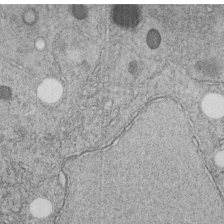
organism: C. elegans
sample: C. elegans embryo early stage